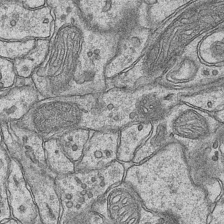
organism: Mouse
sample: CA1 Hippocampus